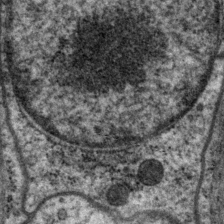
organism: P. pacificus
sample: Pharynx